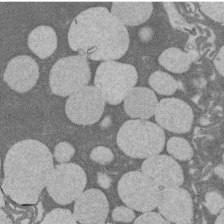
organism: Rat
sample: Salivary granule